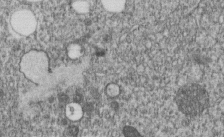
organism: C. elegans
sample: C. elegans embryo early stage